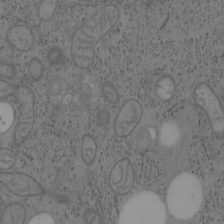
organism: Mouse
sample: OT-I killer T cells with ID8 ovarian cancer cells